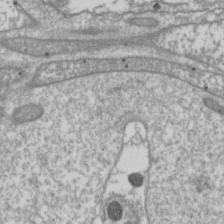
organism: Drosophila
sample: Cell division; meiosis; drosophila spermatocytes